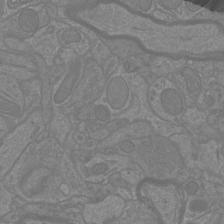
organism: Mouse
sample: Cortical neurons